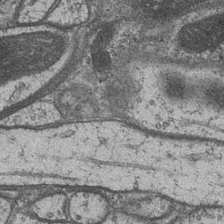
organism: Drosophila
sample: Optic medulla